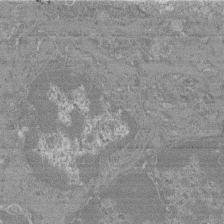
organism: Mouse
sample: Glomerulus